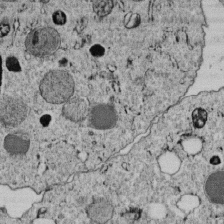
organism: C. elegans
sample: C. elegans embryo early stage